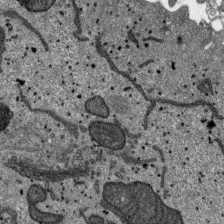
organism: Human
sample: Lung epithelial cells, uninfected (mock) control